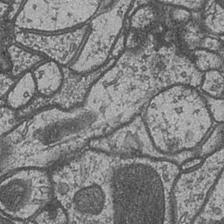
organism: Drosophila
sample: Optic medulla